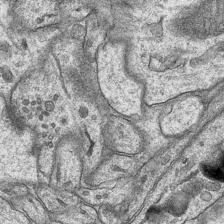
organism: Mouse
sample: CA1 Hippocampus